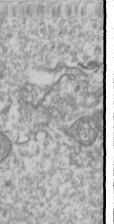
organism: Drosophila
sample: Cell division; meiosis; drosophila spermatocytes